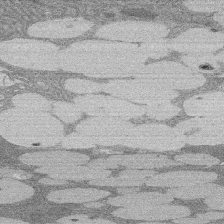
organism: Rat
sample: Salivary granule